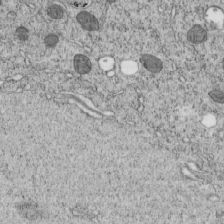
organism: C. elegans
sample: C. elegans embryo early stage